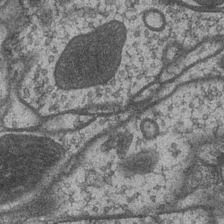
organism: Drosophila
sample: Optic medulla